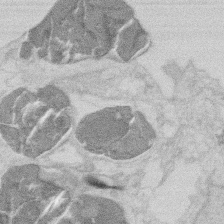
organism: Mouse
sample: T cell stromal cell synapse